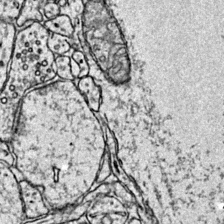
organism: Mouse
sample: Primary visual cortex